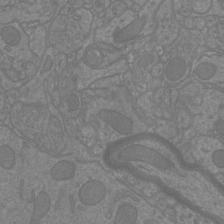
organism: Mouse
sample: Cortical neurons